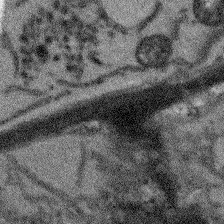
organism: Arabidopsis thaliana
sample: Root tip